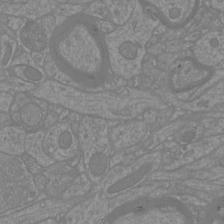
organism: Mouse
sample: Cortical neurons